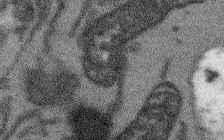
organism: Arabidopsis thaliana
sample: Root tip